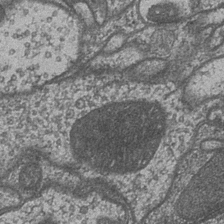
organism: Drosophila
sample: Optic medulla